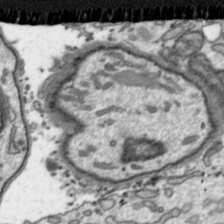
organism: Toxoplasma gondii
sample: Parasites in a vacuole inside a host cell